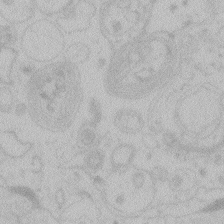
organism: Zebrafish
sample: Macrophage infected with Toxoplasma gondii